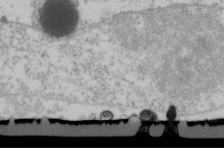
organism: Human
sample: U2-OS cells